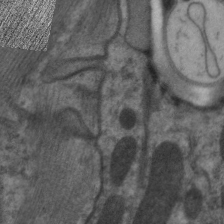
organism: C. elegans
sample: Pharynx